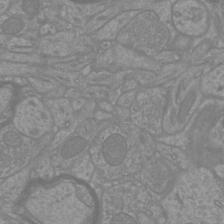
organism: Mouse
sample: Cortical neurons